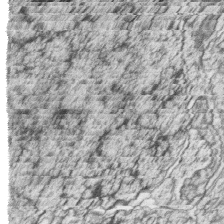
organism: Zebrafish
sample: synaptic ribbons in rod cells and cone cells